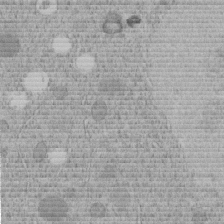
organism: C. elegans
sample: C. elegans embryo early stage